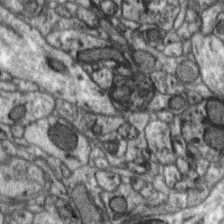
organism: Zebra finch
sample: Brain